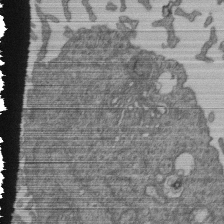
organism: Human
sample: Retinal organoid Rod and Cone cells